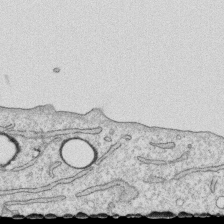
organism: Human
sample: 1205lu cells